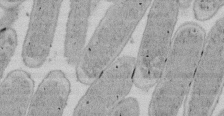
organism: E. coli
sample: Bacterial nucleoid